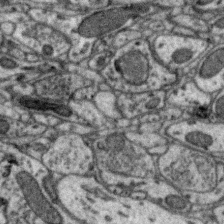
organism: Zebra finch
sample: Brain